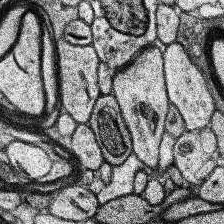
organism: Human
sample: Temporal Lobe